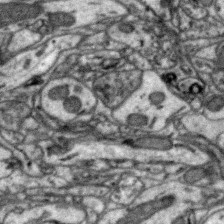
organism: Zebra finch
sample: Brain